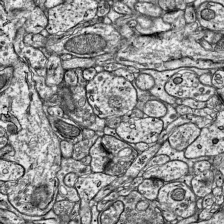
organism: Mouse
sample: Visual Cortex